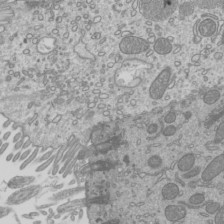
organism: Mouse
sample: Cilia; mouse epididymis